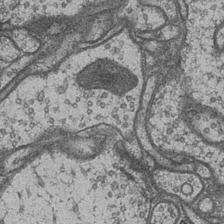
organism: Drosophila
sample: Optic medulla